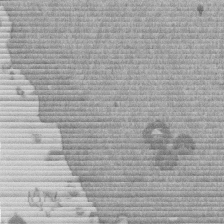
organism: Mouse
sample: Dividing mouse embryo 1 cell stage